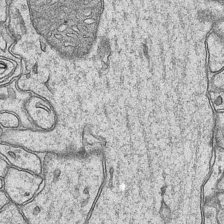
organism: Mouse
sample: CA1 Hippocampus